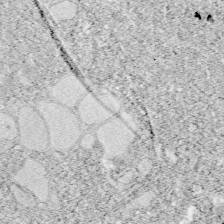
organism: Zebrafish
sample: Whole-Brain